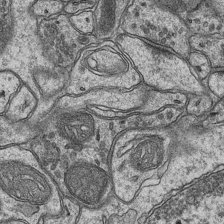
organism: Mouse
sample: CA1 Hippocampus